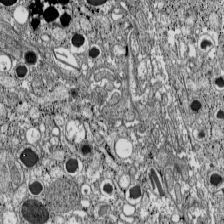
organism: C57BL Mouse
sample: Pancreatic islet